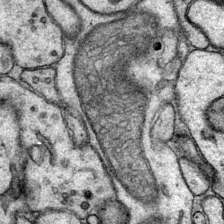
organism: Mouse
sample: Primary visual cortex